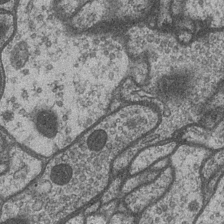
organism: Drosophila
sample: Optic medulla